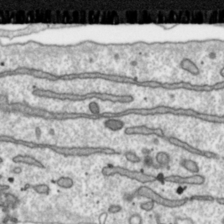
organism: Toxoplasma gondii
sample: Parasites in a vacuole inside a host cell